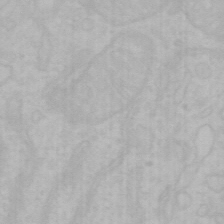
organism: Mouse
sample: Choroid plexus